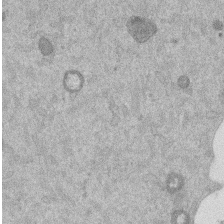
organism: Mouse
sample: Dividing mouse embryo 1 cell stage